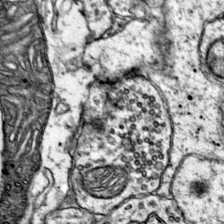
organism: Mouse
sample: Primary visual cortex